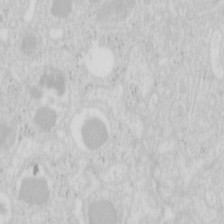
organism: Mouse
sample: Pancreas